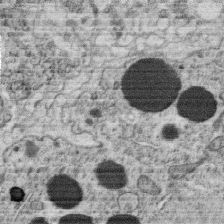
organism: C. elegans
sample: C. elegans oocyte; sperm cells